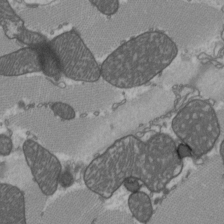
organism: C57BL Mouse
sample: Heart